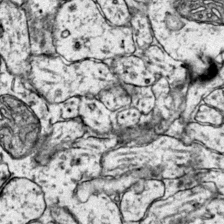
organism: Mouse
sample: Primary visual cortex